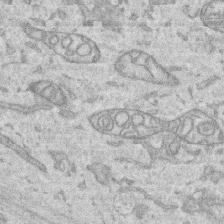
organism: Human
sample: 1205lu cells